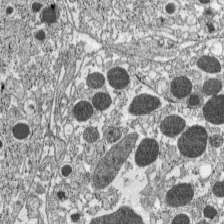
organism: C57BL Mouse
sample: Pancreatic islet